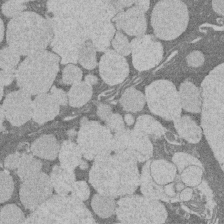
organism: Rat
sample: Salivary granule